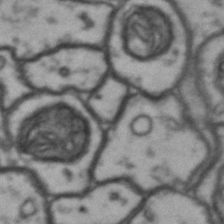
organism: Drosophila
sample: Brain